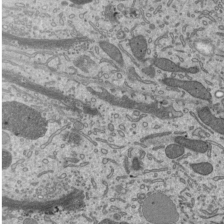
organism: Mouse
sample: Mouse epididymis efferent ductule cilia